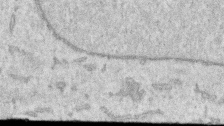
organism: Human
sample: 1205lu cells